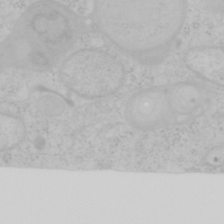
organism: Mouse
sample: OT-I killer T cells with ID8 ovarian cancer cells